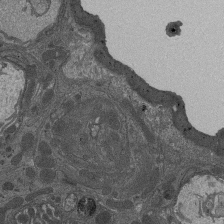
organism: Drosophila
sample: Antenna